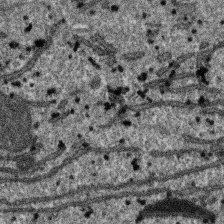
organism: Human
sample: Lung epithelial cells infected with SARS-CoV-2